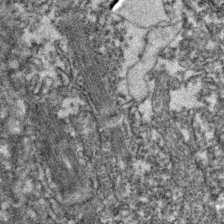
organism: Zebrafish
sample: Zebrafish embryo